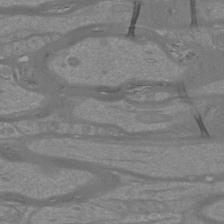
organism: Mouse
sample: Cortical neurons